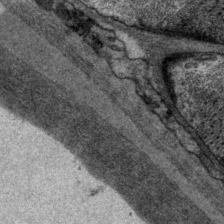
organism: P. pacificus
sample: Pharynx